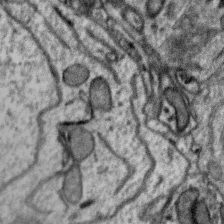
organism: Zebra finch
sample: Brain